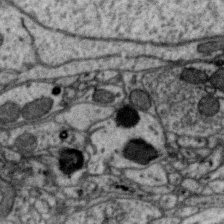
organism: Zebra finch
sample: Brain